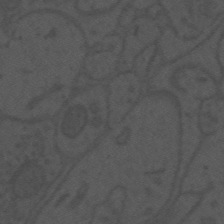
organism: Mouse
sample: Suprachiasmatic nucleus